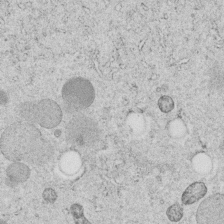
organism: C. elegans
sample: C. elegans embryo early stage